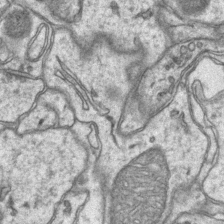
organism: Mouse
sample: CA1 Hippocampus